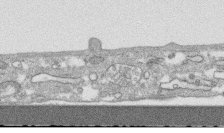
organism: Human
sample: CRL-1474